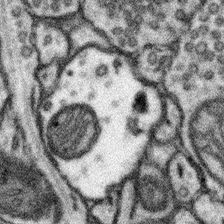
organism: Mouse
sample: Somatosensory cortex neuropil